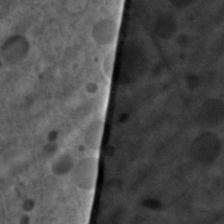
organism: C. elegans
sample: C. elegans embryo